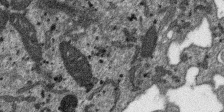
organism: Human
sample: Lung epithelial cells infected with SARS-CoV-2